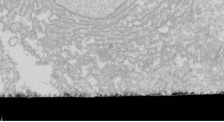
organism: Drosophila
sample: Cell division; meiosis; drosophila spermatocytes